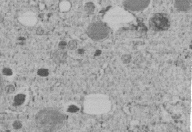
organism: C. elegans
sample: C. elegans embryo early stage